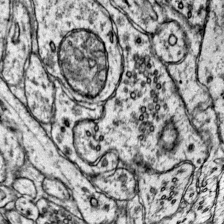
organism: Mouse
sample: Primary visual cortex